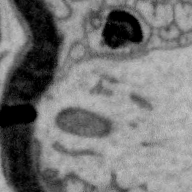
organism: Zebra finch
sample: Brain